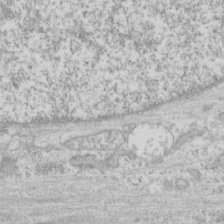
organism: Human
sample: CRL-1474